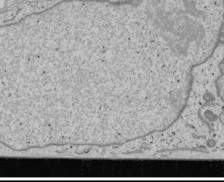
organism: Human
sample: Mitochondria in U2OS cells